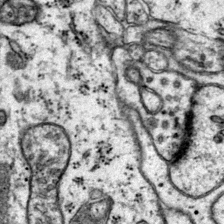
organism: Mouse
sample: Primary visual cortex